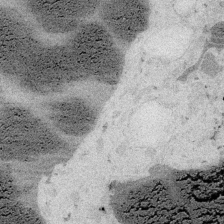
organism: Embia sp.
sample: Silk gland